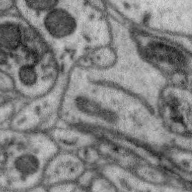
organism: Zebra finch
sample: Brain